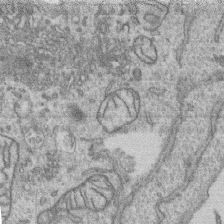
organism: Human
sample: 1205lu cells